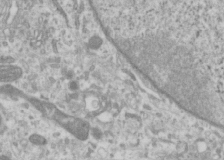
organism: Human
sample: Cilia; basal body in RPE cells